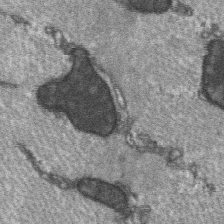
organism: C57BL Mouse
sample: Soleus